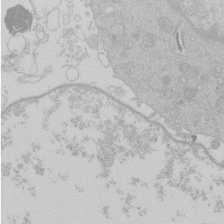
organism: Human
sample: Macrophage cells